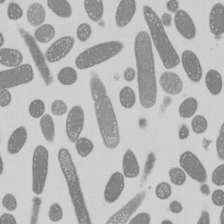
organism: E. coli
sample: Bacterial nucleoid